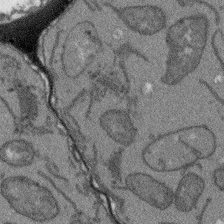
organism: Arabidopsis thaliana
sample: Root tip